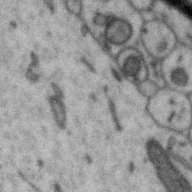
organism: Zebra finch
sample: Brain